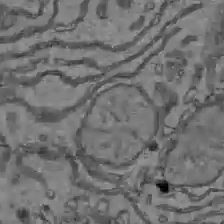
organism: C57BL Mouse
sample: Liver